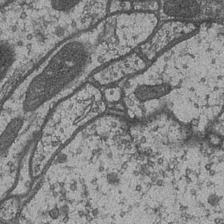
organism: Drosophila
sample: Optic medulla